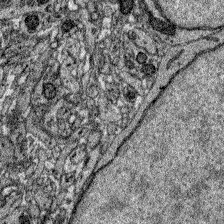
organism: Zebrafish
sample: Larval olfactory bulb